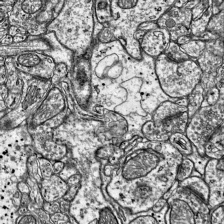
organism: Mouse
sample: Visual Cortex